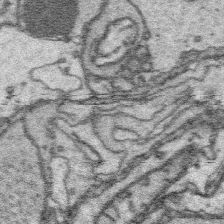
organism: Platynereis dumerilii